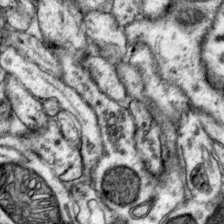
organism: Mouse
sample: Primary visual cortex